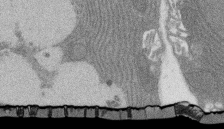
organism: Rat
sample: Salivary granule